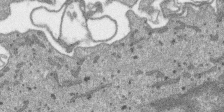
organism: Human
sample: Lung epithelial cells infected with SARS-CoV-2